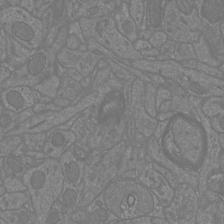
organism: Mouse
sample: Cortical neurons